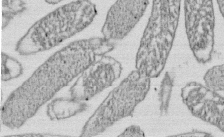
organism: E. coli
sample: Bacterial nucleoid